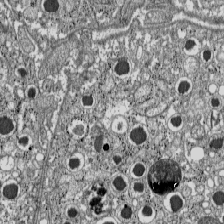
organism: C57BL Mouse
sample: Pancreatic islet